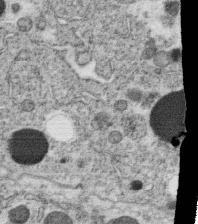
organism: C. elegans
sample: C. elegans oocyte; sperm cells